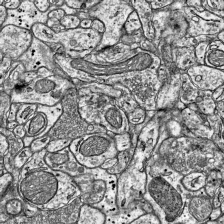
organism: Mouse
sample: Visual Cortex